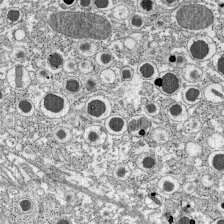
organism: C57BL Mouse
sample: Pancreatic islet